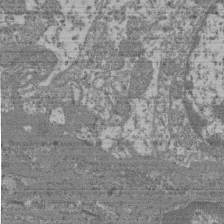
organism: Mouse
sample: Glomerulus